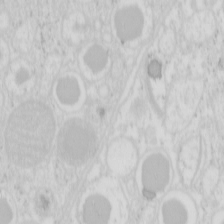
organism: Mouse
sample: Pancreas